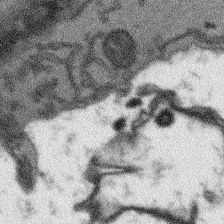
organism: Arabidopsis thaliana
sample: Root tip